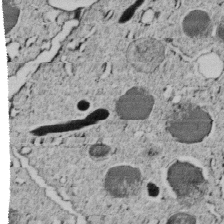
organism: C. elegans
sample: C. elegans embryo early stage